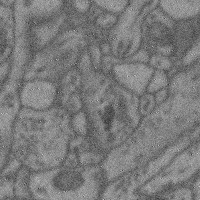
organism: Mouse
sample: Cerebral cortex